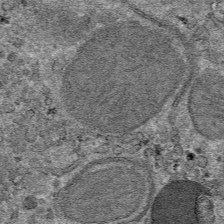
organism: Mouse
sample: Mouse hepatocytes